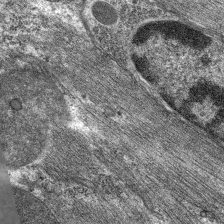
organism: C. elegans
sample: Pharynx